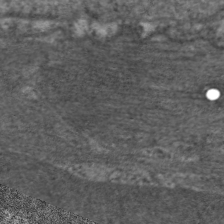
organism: C. elegans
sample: Pharynx